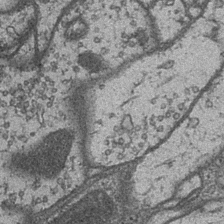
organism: Drosophila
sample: Optic medulla